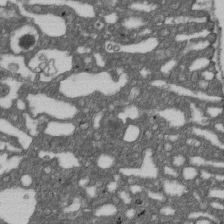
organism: Drosophila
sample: Nephrocyte